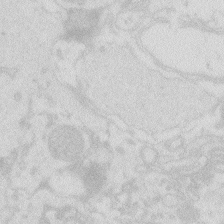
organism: Zebrafish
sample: Macrophage